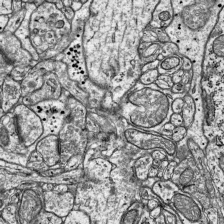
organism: Mouse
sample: Visual Cortex